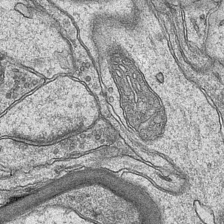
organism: Mouse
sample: CA1 Hippocampus